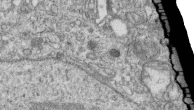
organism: Human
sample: HeLa cell HIV synapse